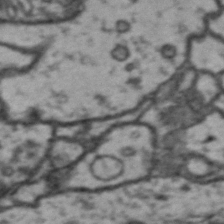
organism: Drosophila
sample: Brain